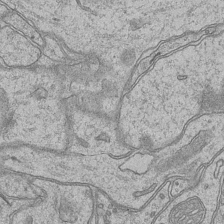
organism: Mouse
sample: CA1 Hippocampus